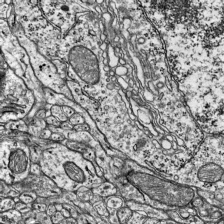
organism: Mouse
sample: Visual Cortex